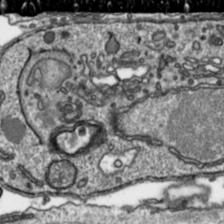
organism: Toxoplasma gondii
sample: Parasites in a vacuole inside a host cell